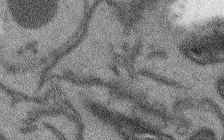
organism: Arabidopsis thaliana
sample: Root tip